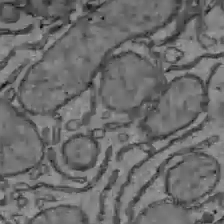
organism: C57BL Mouse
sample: Liver